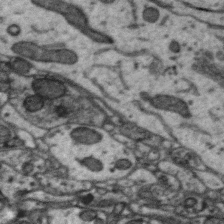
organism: Zebra finch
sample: Brain